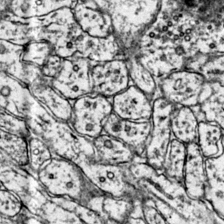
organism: Mouse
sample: Primary visual cortex